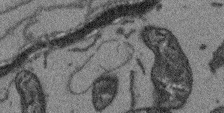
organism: Arabidopsis thaliana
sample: Root tip